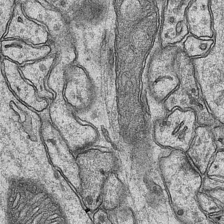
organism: Mouse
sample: CA1 Hippocampus